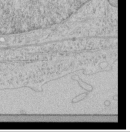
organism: Human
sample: Mitochondria in HCT116 cells